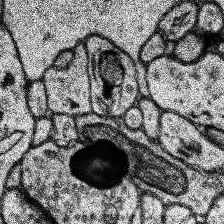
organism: Human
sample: Temporal Lobe